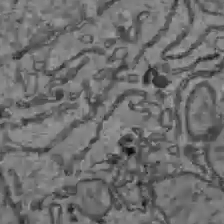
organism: C57BL Mouse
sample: Liver